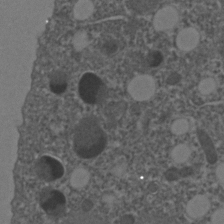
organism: C. elegans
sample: C. elegans embryo